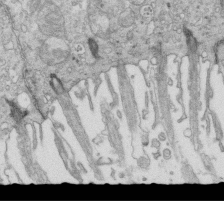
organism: Mouse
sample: Multiciliated cells